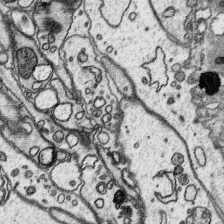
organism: Platynereis dumerilii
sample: Parapodia